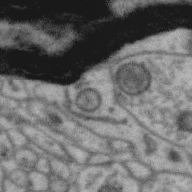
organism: Zebra finch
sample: Brain